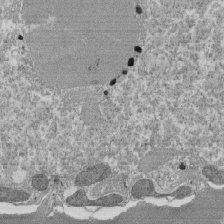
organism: Tetrahymena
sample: Cilia in tetrahymena